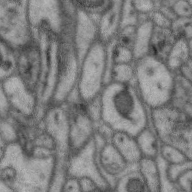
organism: Zebra finch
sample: Brain